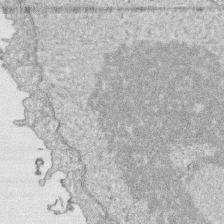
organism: Human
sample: HeLa cell HIV synapse